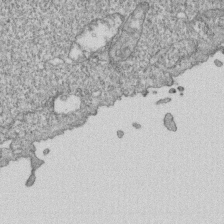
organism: Human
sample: HeLa cell HIV synapse